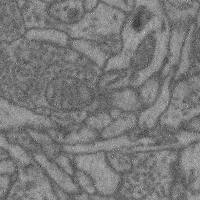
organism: Mouse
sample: Cerebral cortex